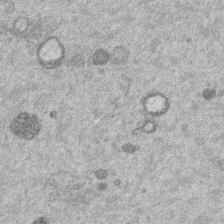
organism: Mouse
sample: Dividing mouse embryo 1 cell stage